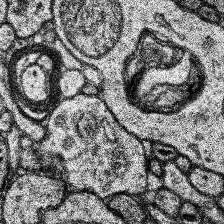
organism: Human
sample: Temporal Lobe